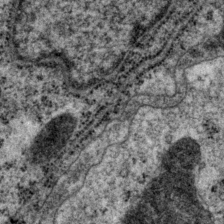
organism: P. pacificus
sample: Pharynx